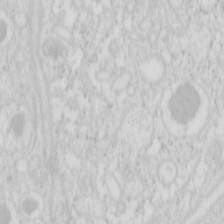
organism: Mouse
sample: Pancreas